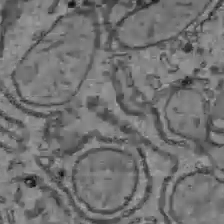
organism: C57BL Mouse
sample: Liver